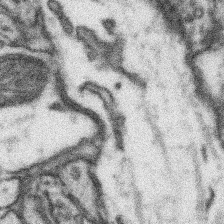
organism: Mouse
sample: Somatosensory cortex neuropil